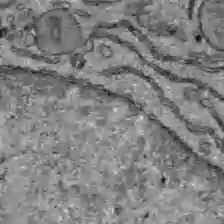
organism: C57BL Mouse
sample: Liver